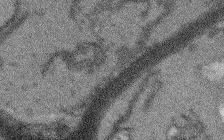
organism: Arabidopsis thaliana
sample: Root tip